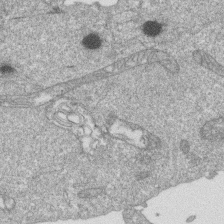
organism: Human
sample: HeLa cell HIV synapse